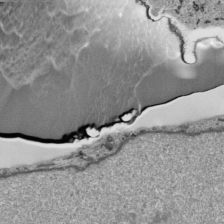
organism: Human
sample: Mitochondria in HCT116 cells